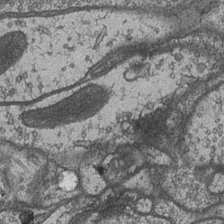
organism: Drosophila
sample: Optic medulla